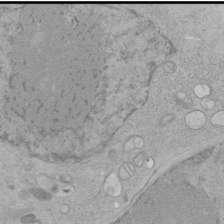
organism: Human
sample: Mitochondria in HCT116 cells